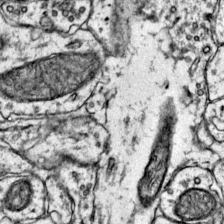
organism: Mouse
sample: Primary visual cortex